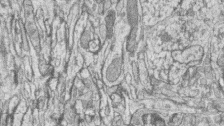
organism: Zebrafish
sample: synaptic ribbons in rod cells and cone cells